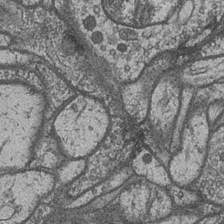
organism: Drosophila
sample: Optic medulla